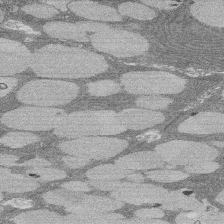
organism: Rat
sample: Salivary granule